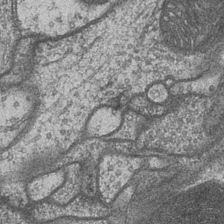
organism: Drosophila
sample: Optic medulla